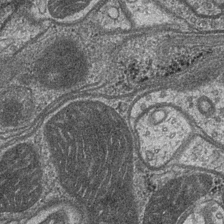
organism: Drosophila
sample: Optic medulla